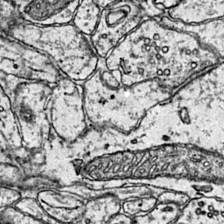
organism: Mouse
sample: Primary visual cortex